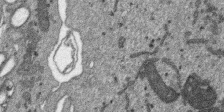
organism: Human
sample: Lung epithelial cells infected with SARS-CoV-2